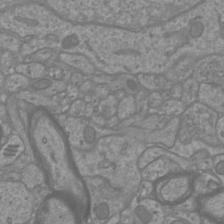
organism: Mouse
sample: Cortical neurons